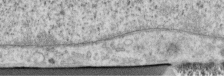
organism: Human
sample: Centriole in RPE cells